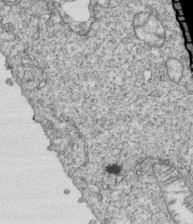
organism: Human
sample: HeLa cell HIV synapse